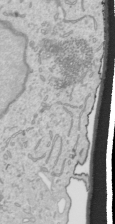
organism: Human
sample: Mitochondria in HCT116 cells